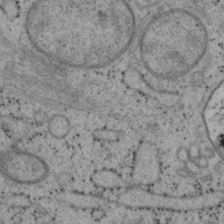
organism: Human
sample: HeLa cells